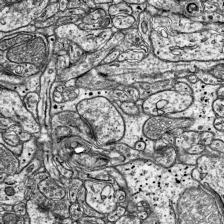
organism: Mouse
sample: Visual Cortex